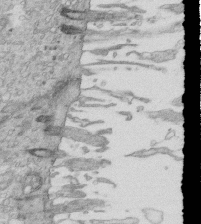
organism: Mouse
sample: Multiciliated cells